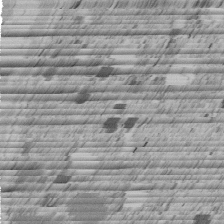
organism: C. elegans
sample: C. elegans embryo early stage